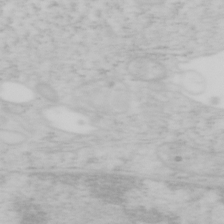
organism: Mouse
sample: OT-I killer T cells with ID8 ovarian cancer cells